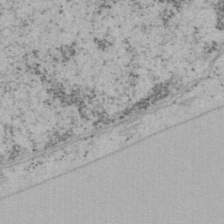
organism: Human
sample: HeLa cells